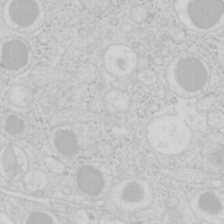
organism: Mouse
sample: Pancreas